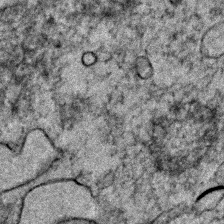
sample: Trachea